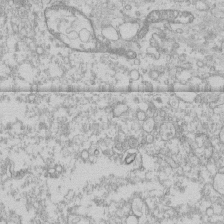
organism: Human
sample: CRL-1474